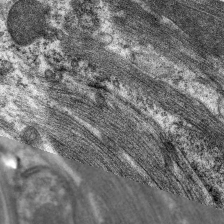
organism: C. elegans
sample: Pharynx